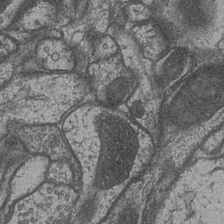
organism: Drosophila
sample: Optic medulla